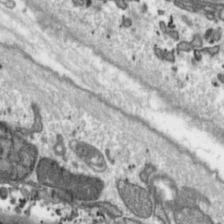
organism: Toxoplasma gondii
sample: Parasites in a vacuole inside a host cell